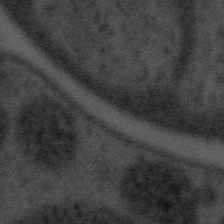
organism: Tuwongella immobilis